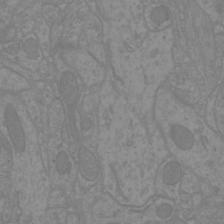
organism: Mouse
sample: Cortical neurons